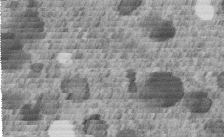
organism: C. elegans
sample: C. elegans embryo early stage